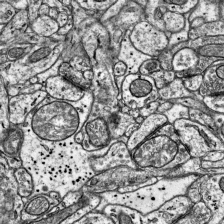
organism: Mouse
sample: Visual Cortex